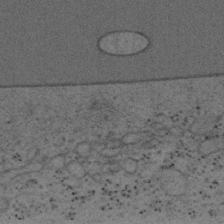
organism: Human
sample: HeLa cells